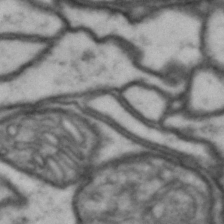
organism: Drosophila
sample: Brain